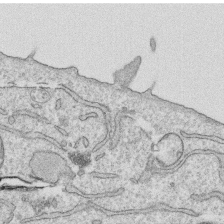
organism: Human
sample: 1205lu cells